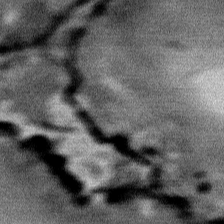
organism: Mouse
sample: Mouse Salivary gland